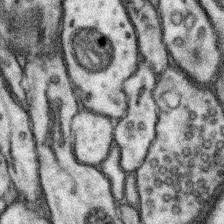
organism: Mouse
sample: Somatosensory cortex neuropil